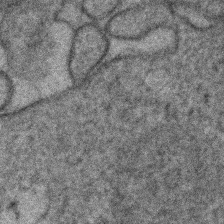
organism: Human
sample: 1205lu cells